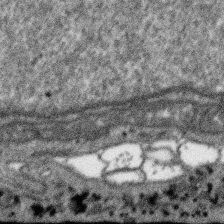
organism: Human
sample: Lung epithelial cells infected with SARS-CoV-2